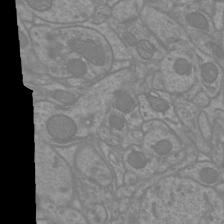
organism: Mouse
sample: Cortical neurons